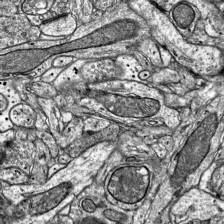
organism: Mouse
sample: Visual Cortex